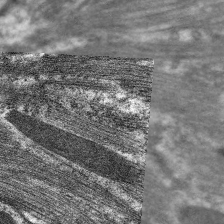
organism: C. elegans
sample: Pharynx